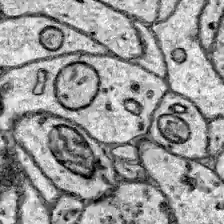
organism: Zebrafish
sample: Brain